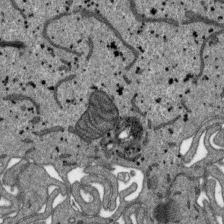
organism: Human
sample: Lung epithelial cells, uninfected (mock) control